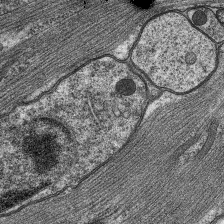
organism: C. elegans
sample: Pharynx